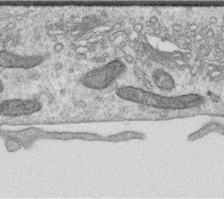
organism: Human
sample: Centriole in RPE cells